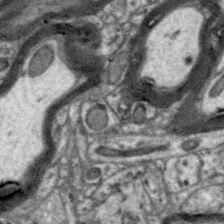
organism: Zebra finch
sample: Brain